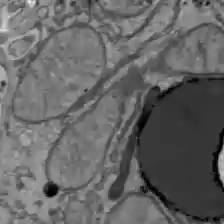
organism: C57BL Mouse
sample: Liver